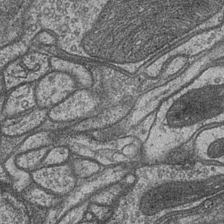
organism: Drosophila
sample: Optic medulla